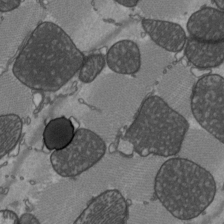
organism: C57BL Mouse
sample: Heart